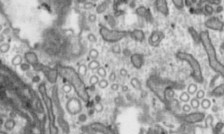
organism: Toxoplasma gondii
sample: Parasites in a vacuole inside a host cell